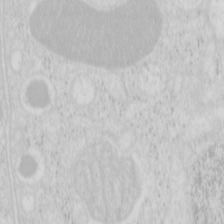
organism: Mouse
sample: Pancreas